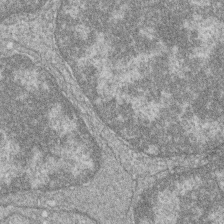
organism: Zebrafish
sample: Cilia; retinal pigment epithelium